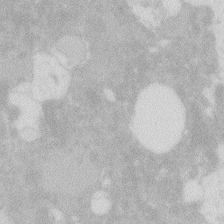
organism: Zebrafish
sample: Macrophage